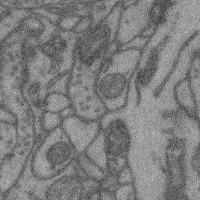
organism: Mouse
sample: Cerebral cortex